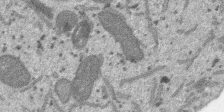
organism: Human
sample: Lung epithelial cells infected with SARS-CoV-2